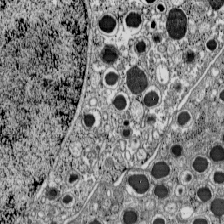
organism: C57BL Mouse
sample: Pancreatic islet